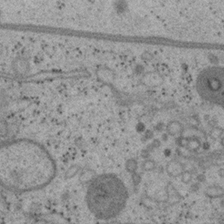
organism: Human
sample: HeLa cells